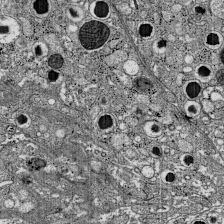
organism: C57BL Mouse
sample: Pancreatic islet